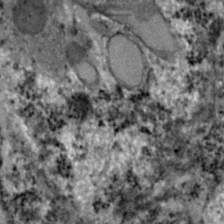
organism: Zebrafish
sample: Zebrafish embryo